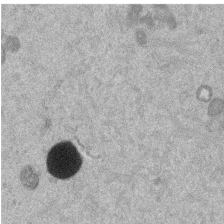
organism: Mouse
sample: Dividing mouse embryo 1 cell stage